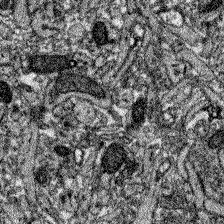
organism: Zebrafish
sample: Larval olfactory bulb